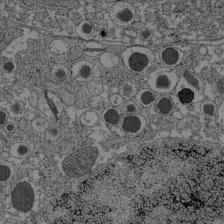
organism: C57BL Mouse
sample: Pancreatic islet